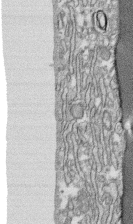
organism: Human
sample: CRL-1474